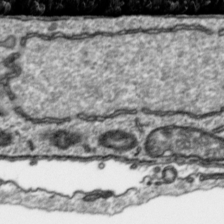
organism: Toxoplasma gondii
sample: Parasites in a vacuole inside a host cell